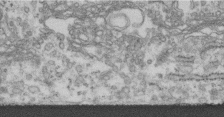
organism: Human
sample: Centriole in fibroblast cells